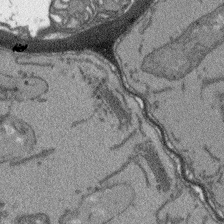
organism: Arabidopsis thaliana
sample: Root tip